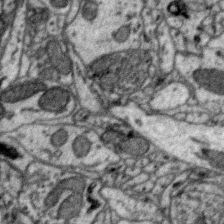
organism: Zebra finch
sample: Brain